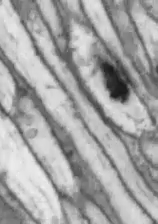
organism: Drosophila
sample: Optic lobe